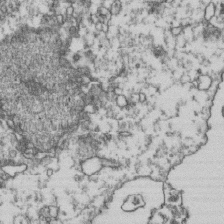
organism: Human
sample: Activated Jurkat CD4+ T cells